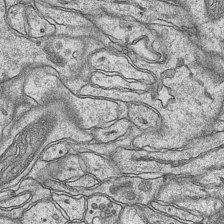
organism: Mouse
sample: CA1 Hippocampus